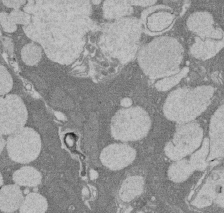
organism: Rat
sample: Salivary granule